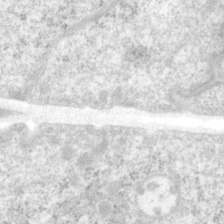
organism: P. pacificus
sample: Pharynx